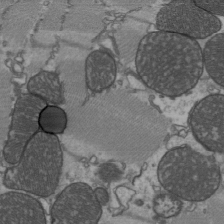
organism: C57BL Mouse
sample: Heart